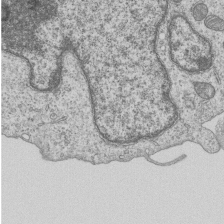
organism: Human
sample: MDA-MB-231 cells